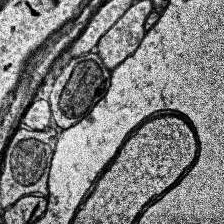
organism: Human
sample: Temporal Lobe